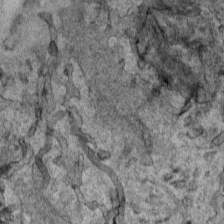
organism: Human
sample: Mitochondria in HCT116 cells